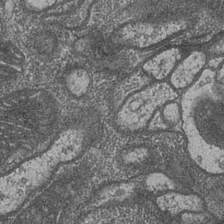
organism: Drosophila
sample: Optic medulla